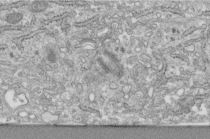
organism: Human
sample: Centriole in fibroblast cells